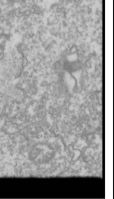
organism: Drosophila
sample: Cell division; meiosis; drosophila spermatocytes